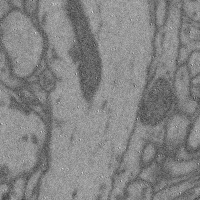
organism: Mouse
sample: Cerebral cortex